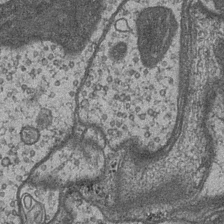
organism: Drosophila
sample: Optic medulla